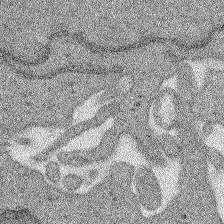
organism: Human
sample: HeLa cells